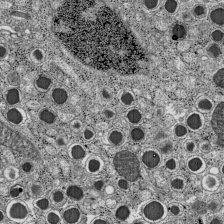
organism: C57BL Mouse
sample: Pancreatic islet